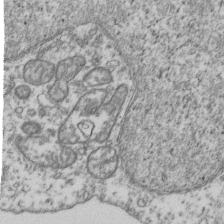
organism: Human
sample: Activated Jurkat CD4+ T cells